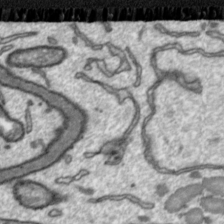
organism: Toxoplasma gondii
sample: Parasites in a vacuole inside a host cell